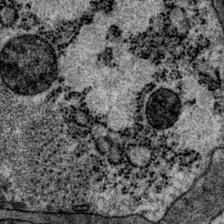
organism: P. pacificus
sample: Pharynx